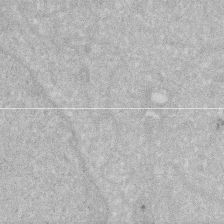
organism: Human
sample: HIV infected U937 cells